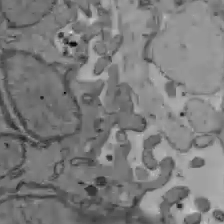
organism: C57BL Mouse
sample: Liver